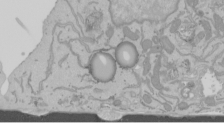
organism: Mouse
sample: Cancer cell death in ED-1 cells